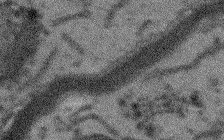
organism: Arabidopsis thaliana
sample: Root tip